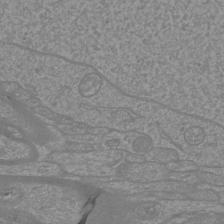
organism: Mouse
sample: Cortical neurons